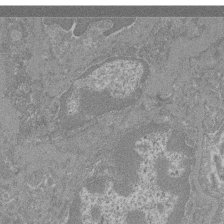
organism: Mouse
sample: Glomerulus